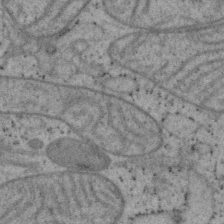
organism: Human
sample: HeLa cells